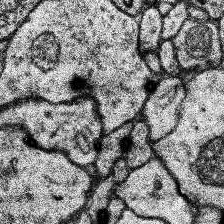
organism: Human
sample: Temporal Lobe